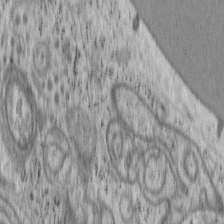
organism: Human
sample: HeLa cells